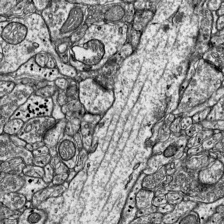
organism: Mouse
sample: Visual Cortex